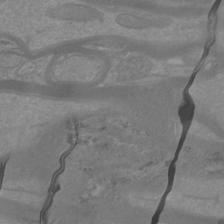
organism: Mouse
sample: Cortical neurons